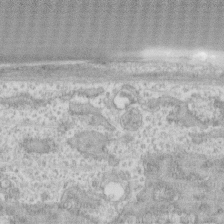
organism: Human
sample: CRL-1474